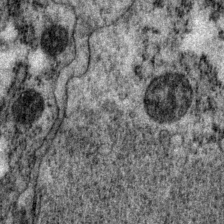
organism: P. pacificus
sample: Pharynx